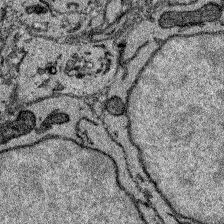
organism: Zebrafish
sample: Larval olfactory bulb